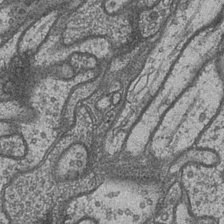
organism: Drosophila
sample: Optic medulla